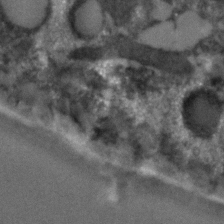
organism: C. elegans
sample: C. elegans embryo